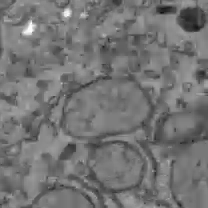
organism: C57BL Mouse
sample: Liver